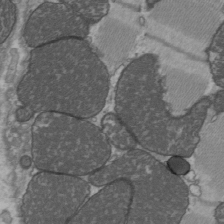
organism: C57BL Mouse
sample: Heart